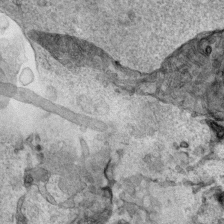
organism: Human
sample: Mitochondria in HCT116 cells